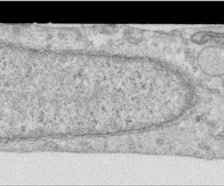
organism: Human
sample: Centriole in RPE cells